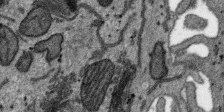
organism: Human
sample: Lung epithelial cells, uninfected (mock) control